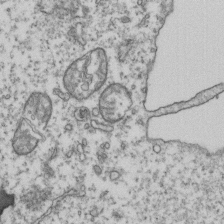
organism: Human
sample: Activated Jurkat CD4+ T cells